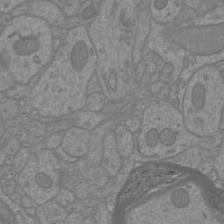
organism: Mouse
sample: Cortical neurons